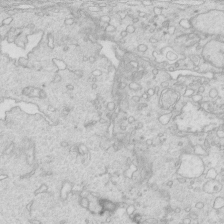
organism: Mouse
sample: Multiciliated cells